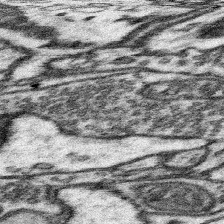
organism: Mouse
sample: Somatosensory cortex neuropil